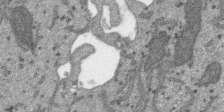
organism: Human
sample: Lung epithelial cells infected with SARS-CoV-2